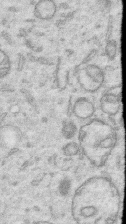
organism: Human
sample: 1205lu cells